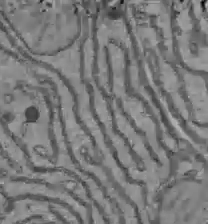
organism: C57BL Mouse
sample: Liver